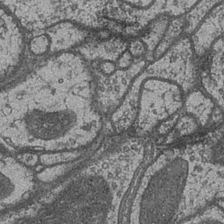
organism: Drosophila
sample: Optic medulla